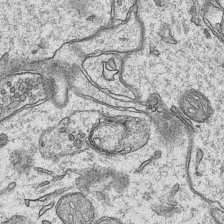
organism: Mouse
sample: CA1 Hippocampus